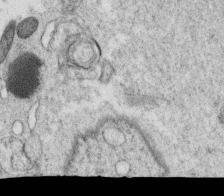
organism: C. elegans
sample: C. elegans oocyte; sperm cells